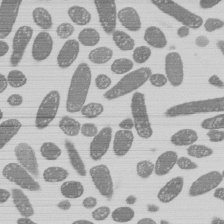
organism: E. coli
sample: Bacterial nucleoid